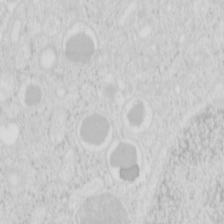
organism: Mouse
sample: Pancreas